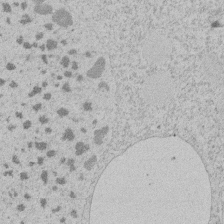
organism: Tetrahymena